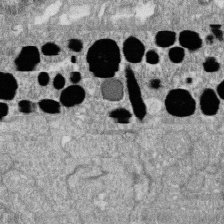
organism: Zebrafish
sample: Cilia; retinal pigment epithelium